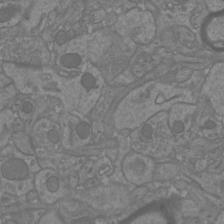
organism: Mouse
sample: Cortical neurons